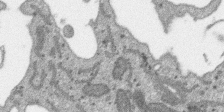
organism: Human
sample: Lung epithelial cells infected with SARS-CoV-2